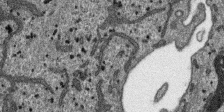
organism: Human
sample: Lung epithelial cells infected with SARS-CoV-2